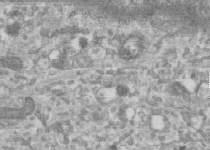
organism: Human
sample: Centriole in RPE cells